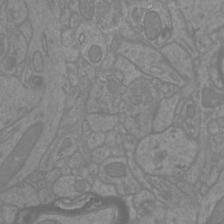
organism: Mouse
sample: Cortical neurons